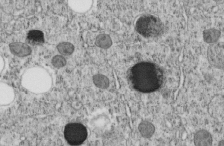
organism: C. elegans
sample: C. elegans embryo early stage